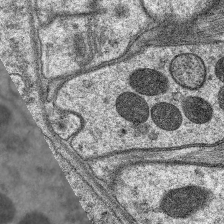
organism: C. elegans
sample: Pharynx